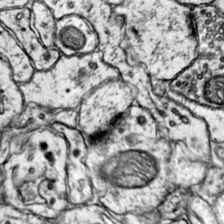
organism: Mouse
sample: Primary visual cortex